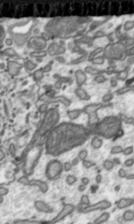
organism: Toxoplasma gondii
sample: Parasites in a vacuole inside a host cell